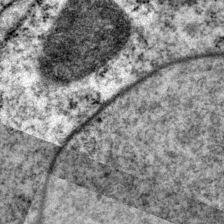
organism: P. pacificus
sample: Pharynx